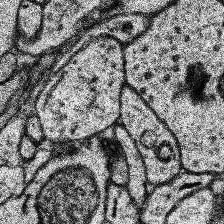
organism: Human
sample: Temporal Lobe